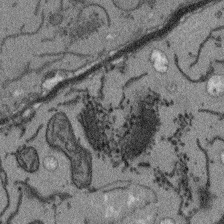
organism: Arabidopsis thaliana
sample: Root tip